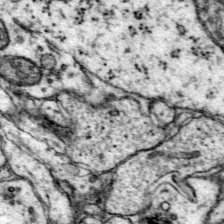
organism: Mouse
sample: Primary visual cortex